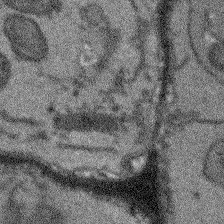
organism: Arabidopsis thaliana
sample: Root tip